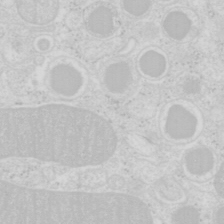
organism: Mouse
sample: Pancreas